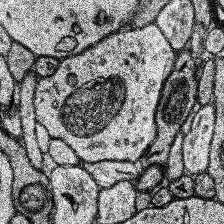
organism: Human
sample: Temporal Lobe